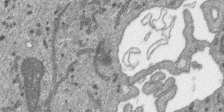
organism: Human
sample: Lung epithelial cells infected with SARS-CoV-2